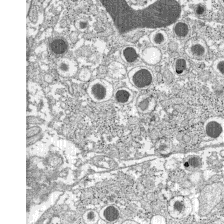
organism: C57BL Mouse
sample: Pancreatic islet